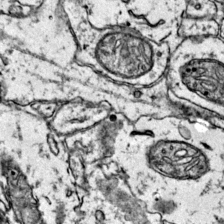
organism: Mouse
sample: Primary visual cortex